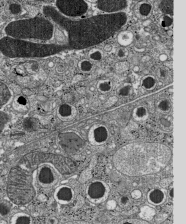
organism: C57BL Mouse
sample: Pancreatic islet